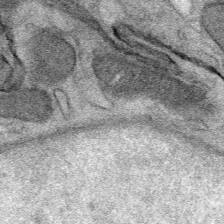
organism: Mouse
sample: Mouse Salivary gland